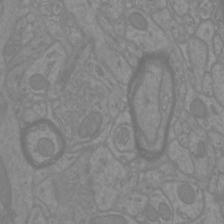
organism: Mouse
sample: Cortical neurons